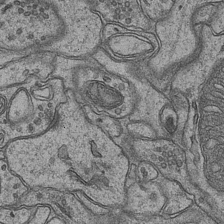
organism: Mouse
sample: CA1 Hippocampus